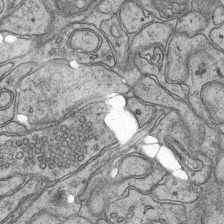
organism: Mouse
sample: CA1 Hippocampus